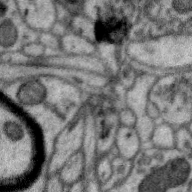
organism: Zebra finch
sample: Brain